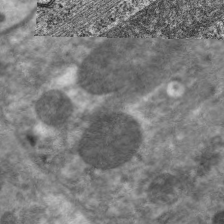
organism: C. elegans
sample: Pharynx